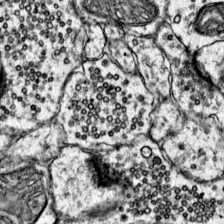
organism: Mouse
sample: Primary visual cortex